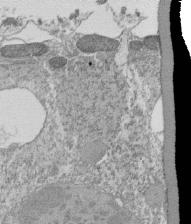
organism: Tetrahymena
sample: Cilia in tetrahymena